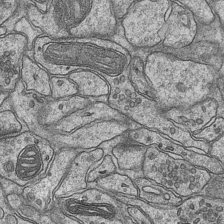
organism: Mouse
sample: CA1 Hippocampus